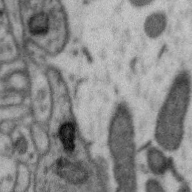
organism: Zebra finch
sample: Brain